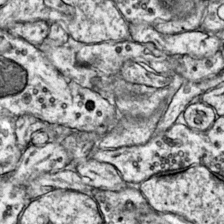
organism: Mouse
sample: Primary visual cortex